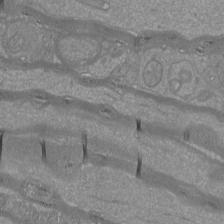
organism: Mouse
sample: Cortical neurons